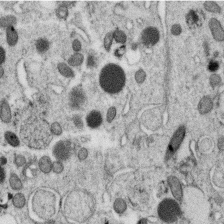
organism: C. elegans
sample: C. elegans oocyte; sperm cells